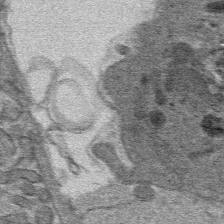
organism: Mouse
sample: Mouse hepatocytes